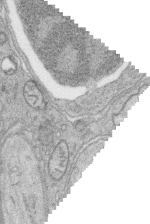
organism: Zebrafish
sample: synaptic ribbons in rod cells and cone cells